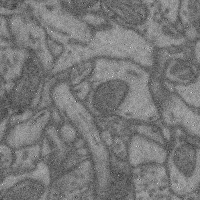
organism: Mouse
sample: Cerebral cortex